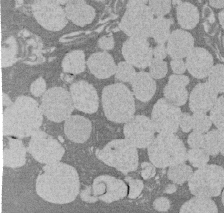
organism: Rat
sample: Salivary granule